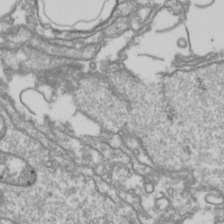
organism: Drosophila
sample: Cell division; meiosis; drosophila spermatocytes